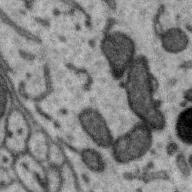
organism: Zebra finch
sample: Brain